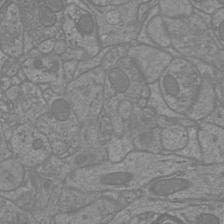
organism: Mouse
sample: Cortical neurons